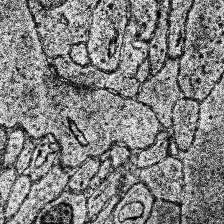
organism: Human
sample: Temporal Lobe